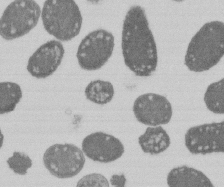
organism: E. coli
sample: Bacterial nucleoid